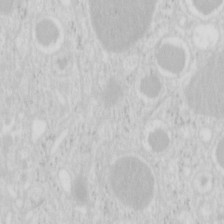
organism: Mouse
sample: Pancreas